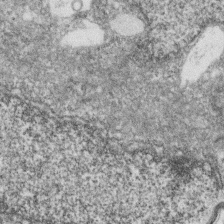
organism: Zebrafish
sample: Cilia; retinal pigment epithelium